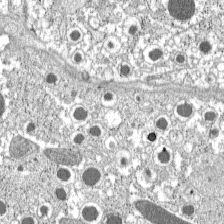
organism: C57BL Mouse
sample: Pancreatic islet